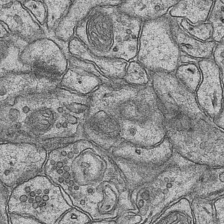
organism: Mouse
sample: CA1 Hippocampus